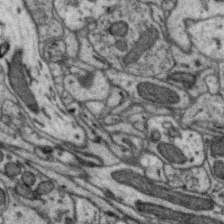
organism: Zebra finch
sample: Brain